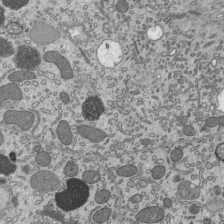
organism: Mouse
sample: Mouse epididymis efferent ductule cilia